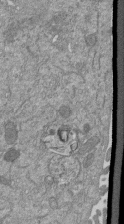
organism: Mouse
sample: ED-1 cell nuclei; centrioles